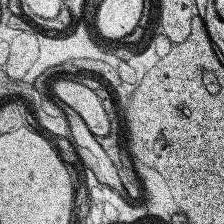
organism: Human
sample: Temporal Lobe